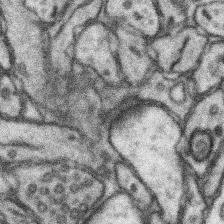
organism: Mouse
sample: Somatosensory cortex neuropil